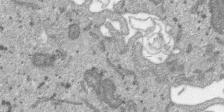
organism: Human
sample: Lung epithelial cells infected with SARS-CoV-2